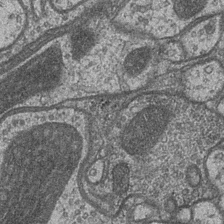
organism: Drosophila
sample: Optic medulla